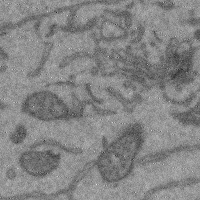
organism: Mouse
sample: Cerebral cortex